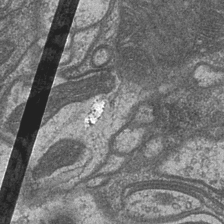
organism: Drosophila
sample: Optic medulla